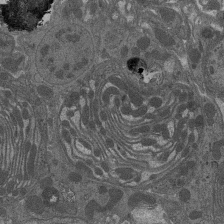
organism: Drosophila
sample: Antenna